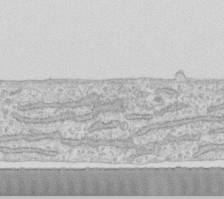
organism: Human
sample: Fibroblast cells